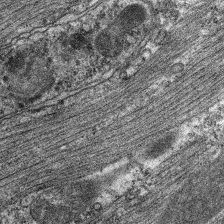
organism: C. elegans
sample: Pharynx